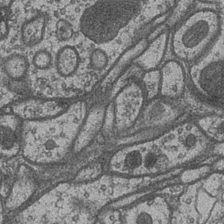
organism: Drosophila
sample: Optic medulla